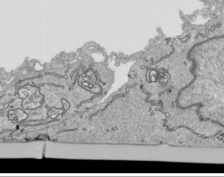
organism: Human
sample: Mitochondria in HCT116 cells